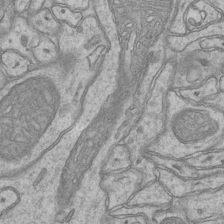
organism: Mouse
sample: CA1 Hippocampus